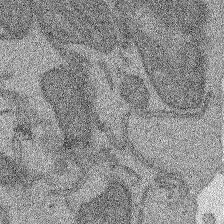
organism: Human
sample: HeLa cells